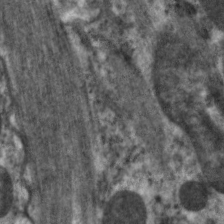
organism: C. elegans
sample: Pharynx